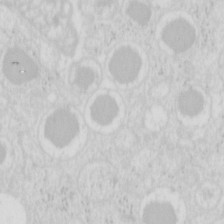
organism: Mouse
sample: Pancreas